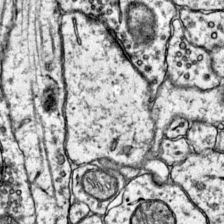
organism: Mouse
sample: Primary visual cortex